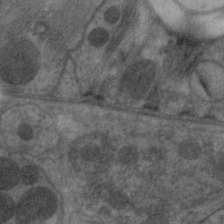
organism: C. elegans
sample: Pharynx